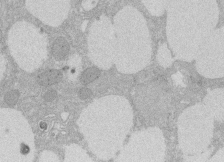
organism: Rat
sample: Salivary granule